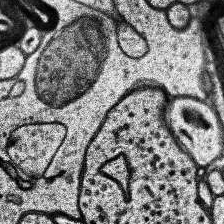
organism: Human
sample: Temporal Lobe